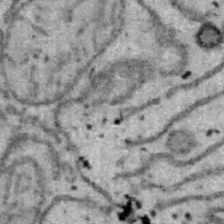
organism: Mouse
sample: Liver from an obese (ob/ob) mouse